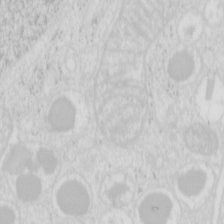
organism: Mouse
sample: Pancreas